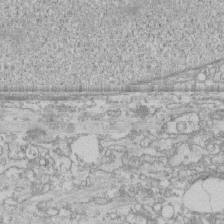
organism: Human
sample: CRL-1474